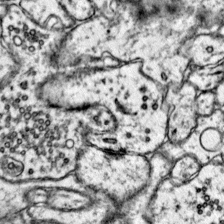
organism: Mouse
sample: Primary visual cortex